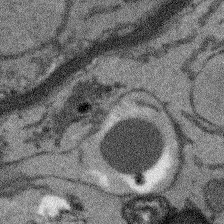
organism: Arabidopsis thaliana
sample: Root tip